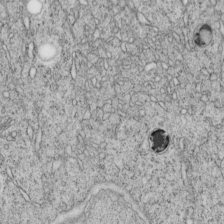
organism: C. elegans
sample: C. elegans embryo early stage